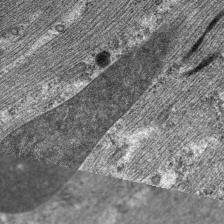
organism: C. elegans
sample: Pharynx